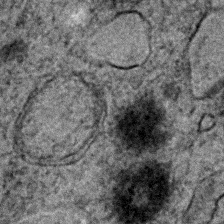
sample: Trachea